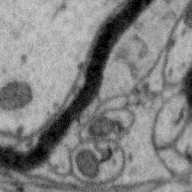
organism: Zebra finch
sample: Brain